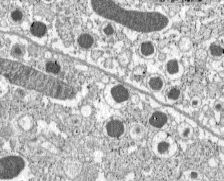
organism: C57BL Mouse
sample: Pancreatic islet